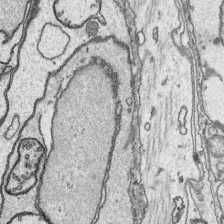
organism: Platynereis dumerilii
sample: Parapodia